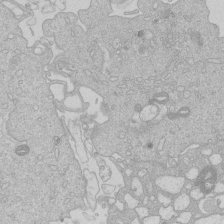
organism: Human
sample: Macrophage cells